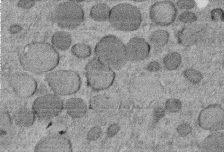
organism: C. elegans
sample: C. elegans embryo early stage